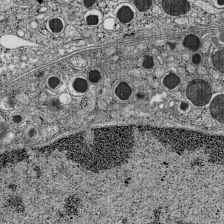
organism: C57BL Mouse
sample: Pancreatic islet